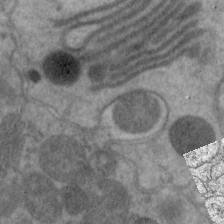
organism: C. elegans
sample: Pharynx